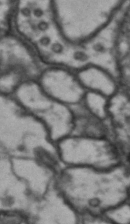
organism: Drosophila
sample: Brain